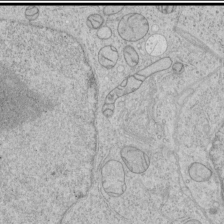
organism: Human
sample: Mitochondria in HCT116 cells